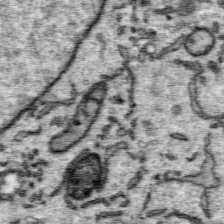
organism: Human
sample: HeLa cells